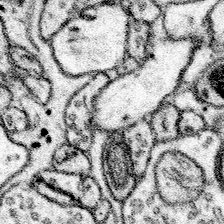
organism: Mouse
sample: Somatosensory cortex neuropil